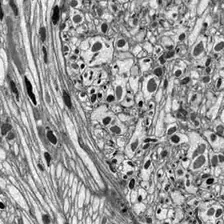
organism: Drosophila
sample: Optic lobe